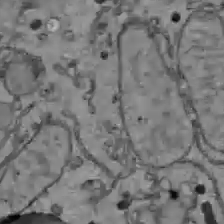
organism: C57BL Mouse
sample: Liver